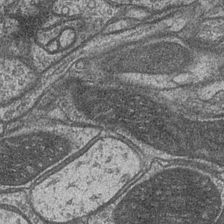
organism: Drosophila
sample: Optic medulla